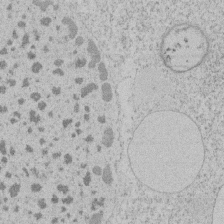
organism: Tetrahymena